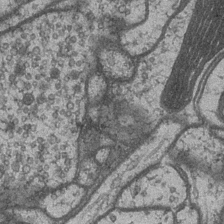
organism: Drosophila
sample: Optic medulla